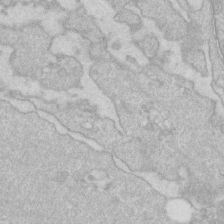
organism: Human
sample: Fibroblast cells